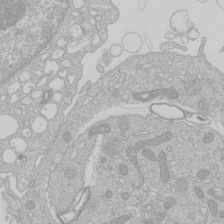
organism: Human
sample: Macrophage cells